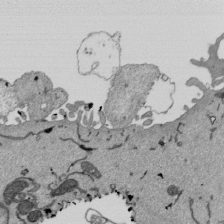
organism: Mouse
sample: ED-1 cell nuclei; centrioles